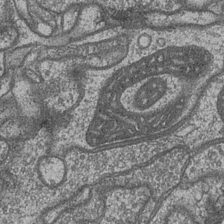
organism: Drosophila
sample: Optic medulla